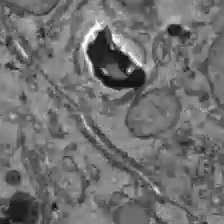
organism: C57BL Mouse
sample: Liver